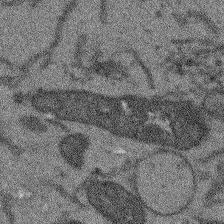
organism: Arabidopsis thaliana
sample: Root tip